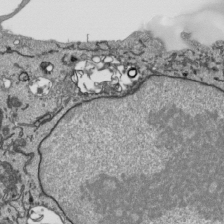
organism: Human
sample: Mitochondria in HCT116 cells